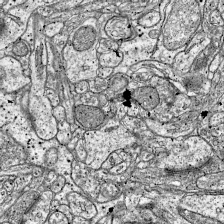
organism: Mouse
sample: Visual Cortex